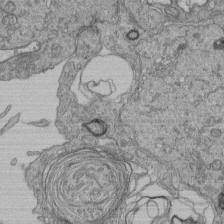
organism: Human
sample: Retinal organoid Rod and Cone cells